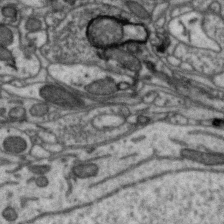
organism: Zebra finch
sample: Brain